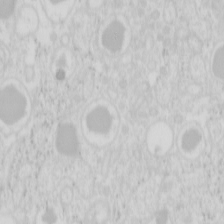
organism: Mouse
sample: Pancreas